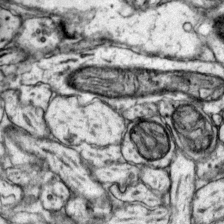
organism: Mouse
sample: Primary visual cortex